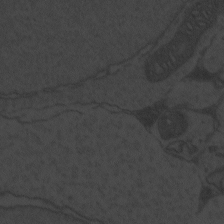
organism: Zebrafish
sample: Macrophage infected with Toxoplasma gondii